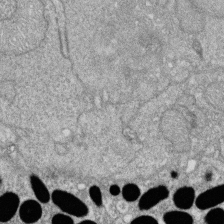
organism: Zebrafish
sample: Cilia; retinal pigment epithelium